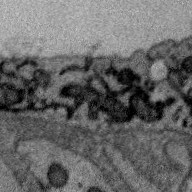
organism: Zebra finch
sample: Brain